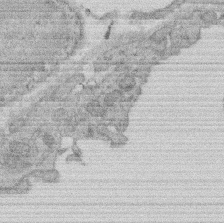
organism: Rat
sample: Salivary granule